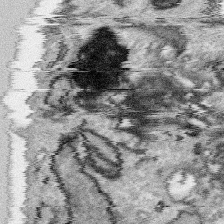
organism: Human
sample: HeLa cells